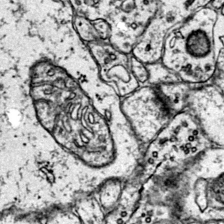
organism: Mouse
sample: Primary visual cortex